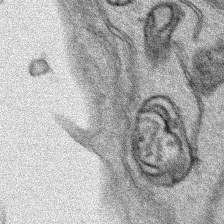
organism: Human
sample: Mitochondria in HCT116 cells